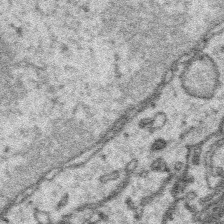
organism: Platynereis dumerilii